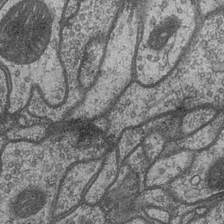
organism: Drosophila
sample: Optic medulla